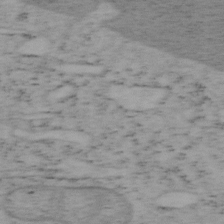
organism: Mouse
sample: OT-I killer T cells with ID8 ovarian cancer cells